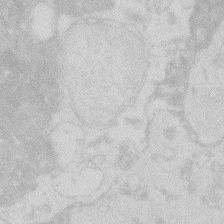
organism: Zebrafish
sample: Macrophage